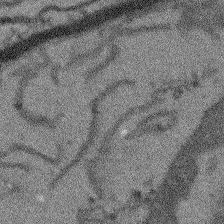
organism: Arabidopsis thaliana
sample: Root tip